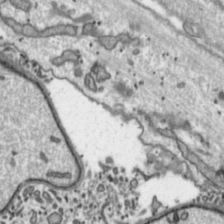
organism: Toxoplasma gondii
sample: Parasites in a vacuole inside a host cell